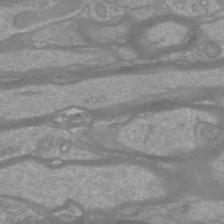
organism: Mouse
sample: Cortical neurons